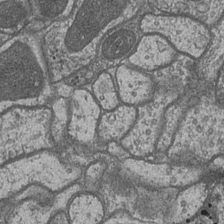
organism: Drosophila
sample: Optic medulla